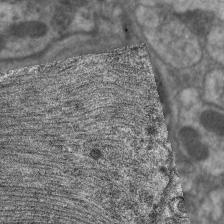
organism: C. elegans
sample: Pharynx